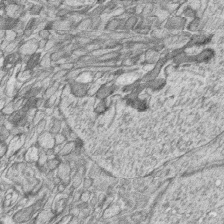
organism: Zebrafish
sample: synaptic ribbons in rod cells and cone cells